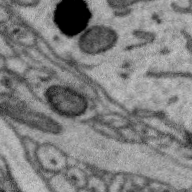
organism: Zebra finch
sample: Brain